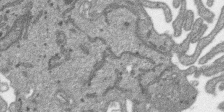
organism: Human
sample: Lung epithelial cells infected with SARS-CoV-2